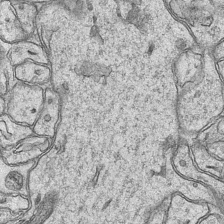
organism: Mouse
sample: CA1 Hippocampus